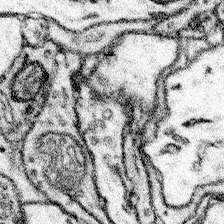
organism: Mouse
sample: Somatosensory cortex neuropil